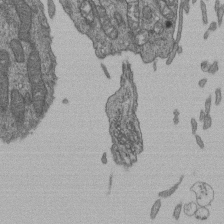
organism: Human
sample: Retinal organoid Rod and Cone cells